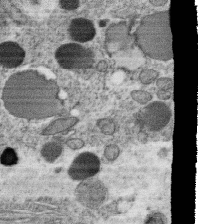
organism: C. elegans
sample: C. elegans oocyte; sperm cells